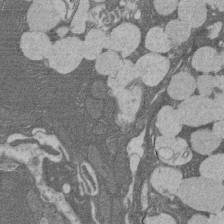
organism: Rat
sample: Salivary granule